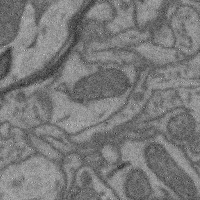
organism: Mouse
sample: Cerebral cortex